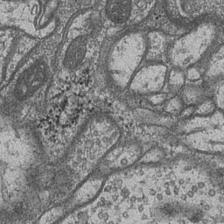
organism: Drosophila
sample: Optic medulla